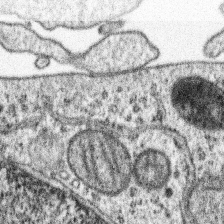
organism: Human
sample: HeLa cells